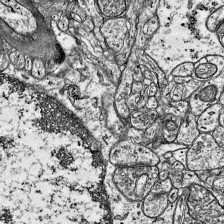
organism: Mouse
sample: Visual Cortex